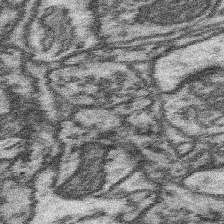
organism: Mouse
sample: Somatosensory cortex neuropil